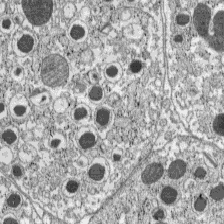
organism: C57BL Mouse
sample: Pancreatic islet